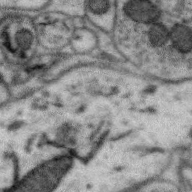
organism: Zebra finch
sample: Brain